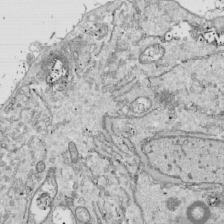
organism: Drosophila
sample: Cell division; meiosis; drosophila spermatocytes